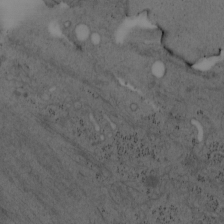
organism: Mouse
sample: OT-I killer T cells with ID8 ovarian cancer cells